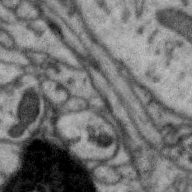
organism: Zebra finch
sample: Brain